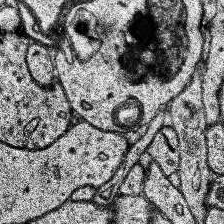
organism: Human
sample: Temporal Lobe